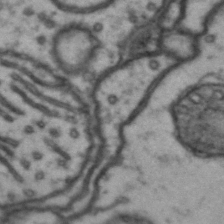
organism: Drosophila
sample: Brain